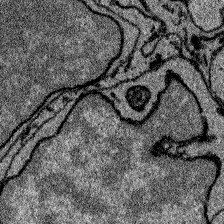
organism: Zebrafish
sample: Larval olfactory bulb